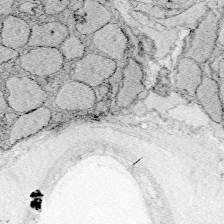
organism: Zebrafish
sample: Whole-Brain